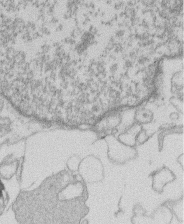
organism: Human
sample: Macrophage cells